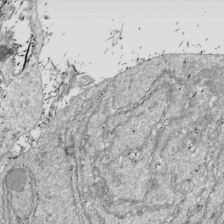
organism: Drosophila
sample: Cell division; meiosis; drosophila spermatocytes